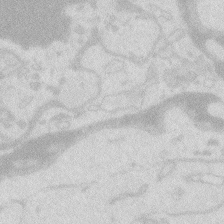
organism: Zebrafish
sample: Macrophage